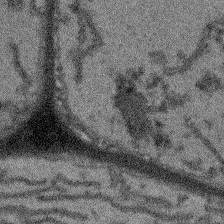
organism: Arabidopsis thaliana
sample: Root tip